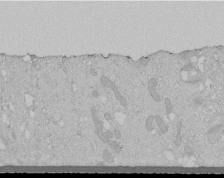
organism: Human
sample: Melanocyte Keratinocyte synapse skin construct